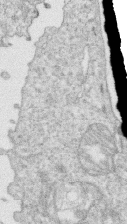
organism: Human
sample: HeLa cell HIV synapse